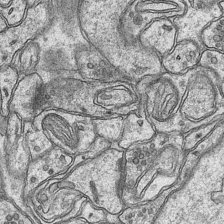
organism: Mouse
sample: CA1 Hippocampus